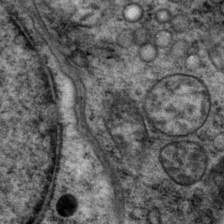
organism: P. pacificus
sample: Pharynx